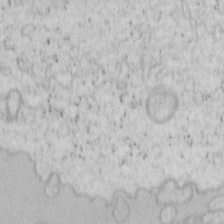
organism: Human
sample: HeLa cells